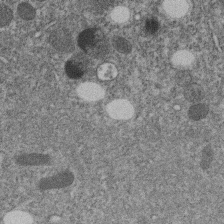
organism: C. elegans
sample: C. elegans embryo early stage